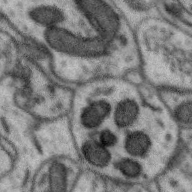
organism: Zebra finch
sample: Brain